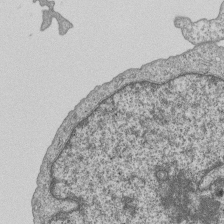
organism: Human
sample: MDA-MB-231 cells